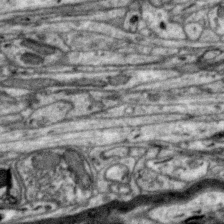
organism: Zebra finch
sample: Brain